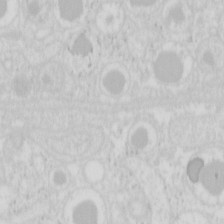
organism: Mouse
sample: Pancreas